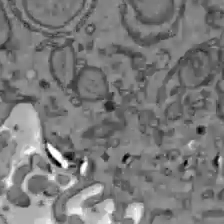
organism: C57BL Mouse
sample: Liver